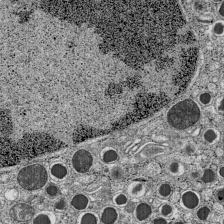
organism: C57BL Mouse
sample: Pancreatic islet